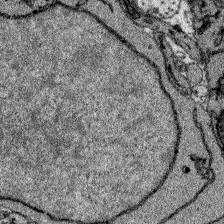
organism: Zebrafish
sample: Larval olfactory bulb